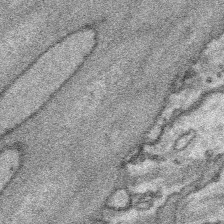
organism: Platynereis dumerilii